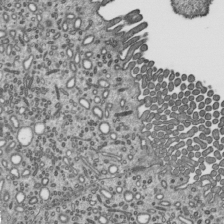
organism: Mouse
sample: Mouse epididymis efferent ductule cilia